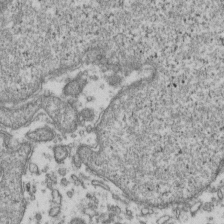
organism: Human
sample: Activated Jurkat CD4+ T cells